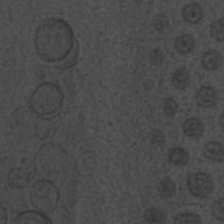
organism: C. elegans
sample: C. elegans embryo